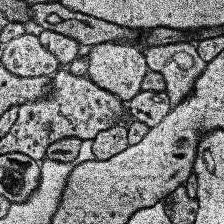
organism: Human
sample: Temporal Lobe